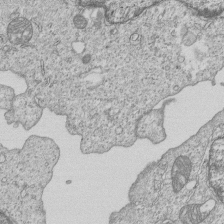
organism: Human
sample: MDA-MB-231 cells